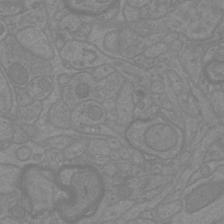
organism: Mouse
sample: Cortical neurons